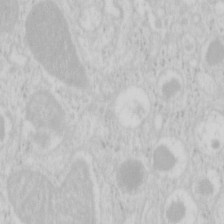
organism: Mouse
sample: Pancreas